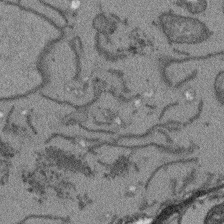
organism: Arabidopsis thaliana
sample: Root tip